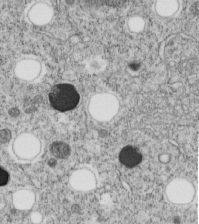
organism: C. elegans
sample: C. elegans embryo early stage